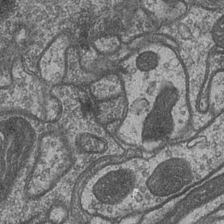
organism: Drosophila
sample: Optic medulla